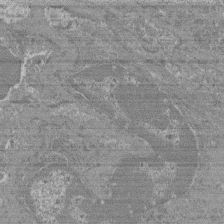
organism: Mouse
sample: Glomerulus